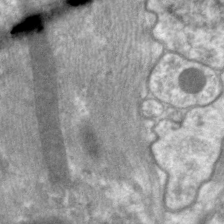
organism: C. elegans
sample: Pharynx